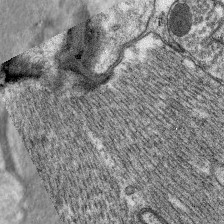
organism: C. elegans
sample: Pharynx